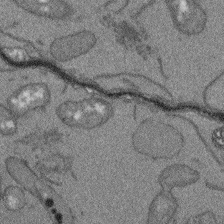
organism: Arabidopsis thaliana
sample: Root tip